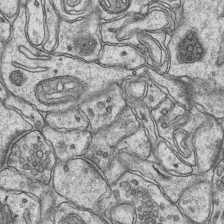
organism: Mouse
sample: CA1 Hippocampus